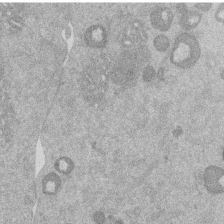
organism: Mouse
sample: Dividing mouse embryo 1 cell stage